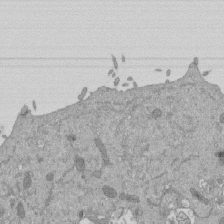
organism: Mouse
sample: ED-1 cell nuclei; centrioles